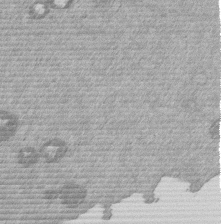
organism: Mouse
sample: Dividing mouse embryo 1 cell stage